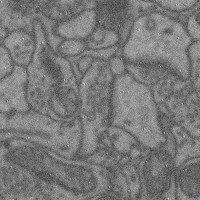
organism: Mouse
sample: Cerebral cortex